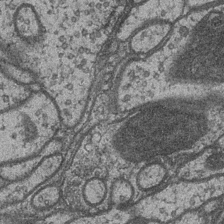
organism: Drosophila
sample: Optic medulla